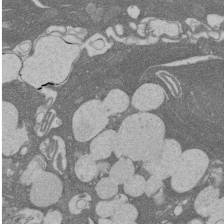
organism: Rat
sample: Salivary granule